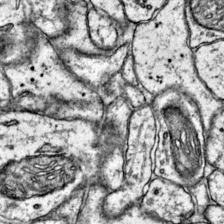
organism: Mouse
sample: Primary visual cortex